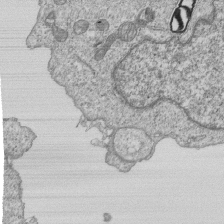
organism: Human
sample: MDA-MB-231 cells